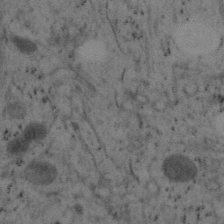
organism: Human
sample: HeLa cells